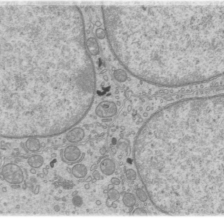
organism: Mouse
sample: Cilia; mouse epididymis